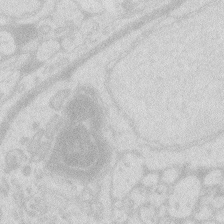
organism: Zebrafish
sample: Macrophage